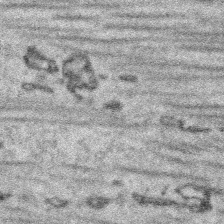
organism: Platynereis dumerilii